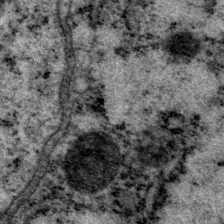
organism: P. pacificus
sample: Pharynx